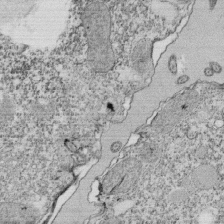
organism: Tetrahymena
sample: Cilia in tetrahymena